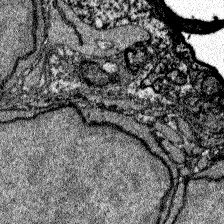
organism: Zebrafish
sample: Larval olfactory bulb